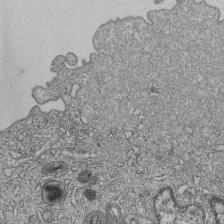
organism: Human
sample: MDA-MB-231 cells